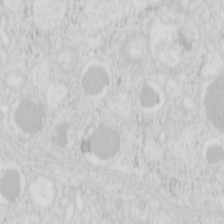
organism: Mouse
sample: Pancreas